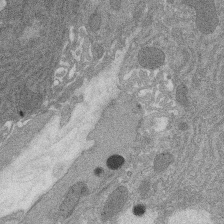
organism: Rat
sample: Salivary granule